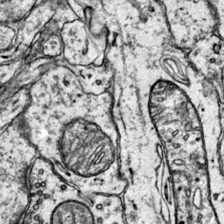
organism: Mouse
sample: Primary visual cortex